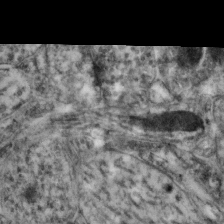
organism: Mouse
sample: Neocortex